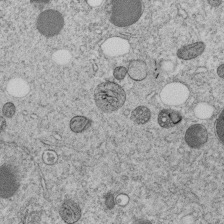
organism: C. elegans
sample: C. elegans embryo early stage